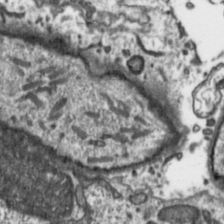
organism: Toxoplasma gondii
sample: Parasites in a vacuole inside a host cell